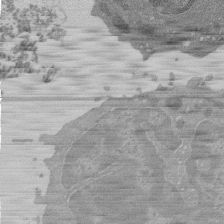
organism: Mouse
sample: Activated Pmel transgenic CD8+ T Cells